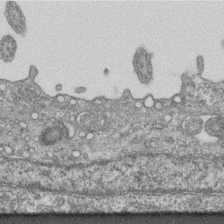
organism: Mouse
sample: Centriole in ependymal cells